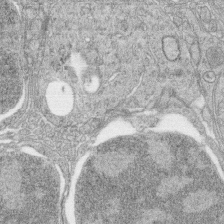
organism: Zebrafish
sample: synaptic ribbons in rod cells and cone cells